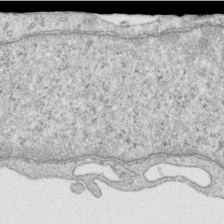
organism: Human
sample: Centriole in RPE cells